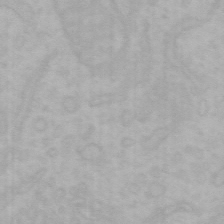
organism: Mouse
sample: Choroid plexus